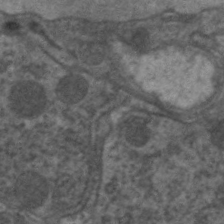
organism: C. elegans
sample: Pharynx